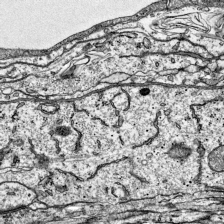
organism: Mouse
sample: Visual Cortex